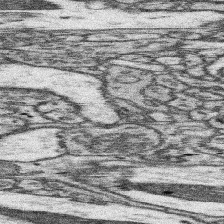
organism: Mouse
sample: Somatosensory cortex neuropil